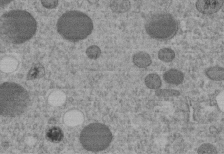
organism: C. elegans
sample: C. elegans embryo early stage